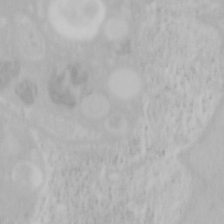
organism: Mouse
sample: OT-I killer T cells with ID8 ovarian cancer cells